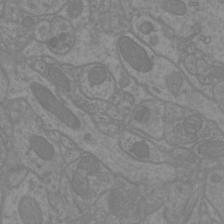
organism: Mouse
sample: Cortical neurons